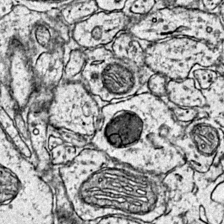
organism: Mouse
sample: Primary visual cortex